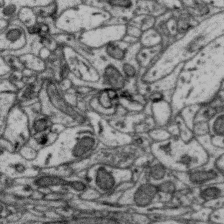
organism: Zebra finch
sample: Brain